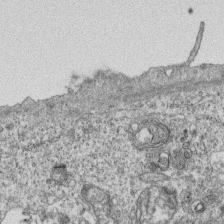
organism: Human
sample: HeLa cell HIV synapse